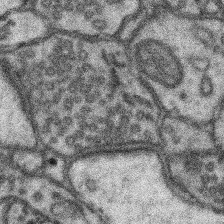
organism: Mouse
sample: Somatosensory cortex neuropil